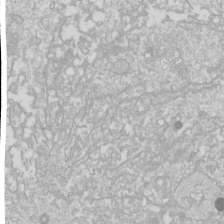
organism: Drosophila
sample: Cell division; meiosis; drosophila spermatocytes